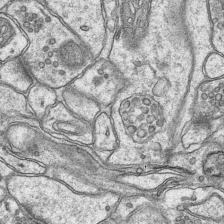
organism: Mouse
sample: CA1 Hippocampus